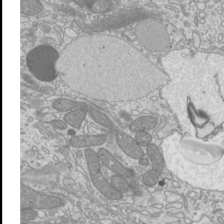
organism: Mouse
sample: Cilia; mouse epididymis